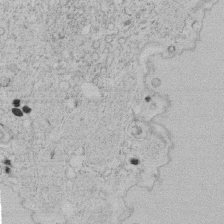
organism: Tetrahymena